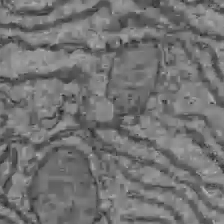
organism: C57BL Mouse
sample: Liver